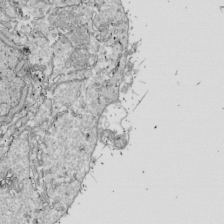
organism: Drosophila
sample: Cell division; meiosis; drosophila spermatocytes